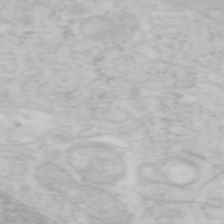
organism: Mouse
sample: OT-I killer T cells with ID8 ovarian cancer cells